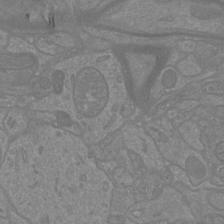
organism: Mouse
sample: Cortical neurons